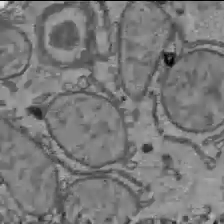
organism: C57BL Mouse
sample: Liver